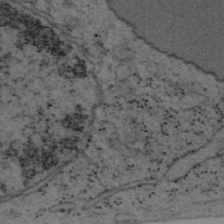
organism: Human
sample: HeLa cells